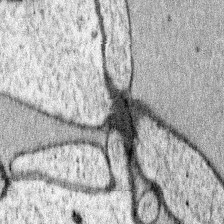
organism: Human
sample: HeLa cells